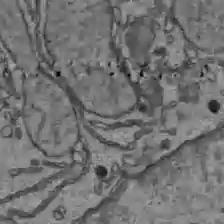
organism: C57BL Mouse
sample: Liver